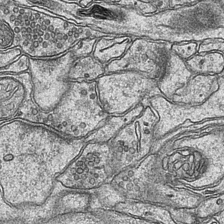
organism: Mouse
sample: CA1 Hippocampus